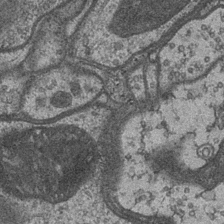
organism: Drosophila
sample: Optic medulla